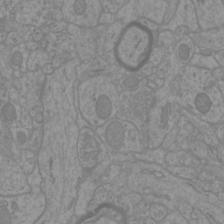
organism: Mouse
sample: Cortical neurons